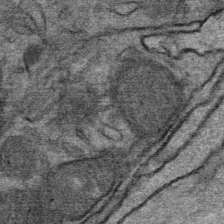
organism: Mouse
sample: Mouse Salivary gland